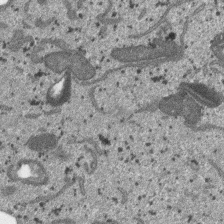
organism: Human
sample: Lung epithelial cells infected with SARS-CoV-2